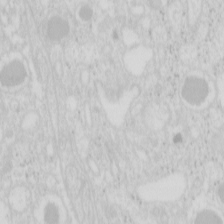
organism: Mouse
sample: Pancreas